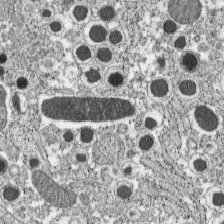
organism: C57BL Mouse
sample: Pancreatic islet